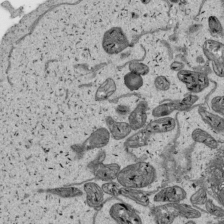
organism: Human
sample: Mitochondria in HCT116 cells